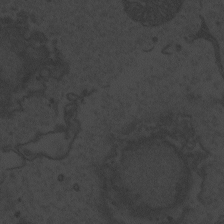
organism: Zebrafish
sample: Macrophage infected with Toxoplasma gondii